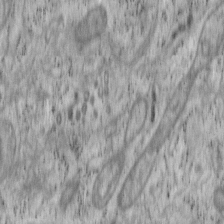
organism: Human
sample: HeLa cells